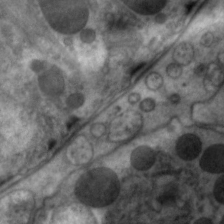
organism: C. elegans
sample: Pharynx